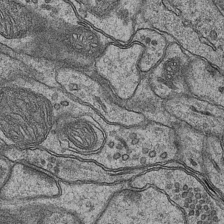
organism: Mouse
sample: CA1 Hippocampus